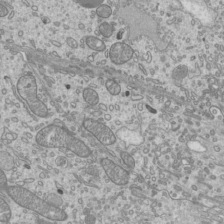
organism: Mouse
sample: Cilia; mouse epididymis